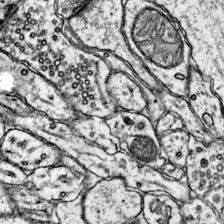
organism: Mouse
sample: Primary visual cortex